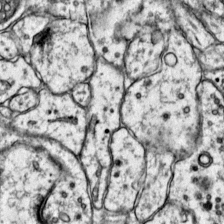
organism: Mouse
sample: Primary visual cortex